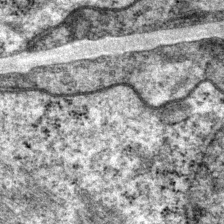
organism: P. pacificus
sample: Pharynx